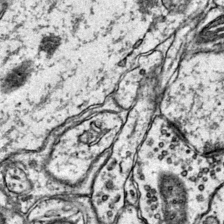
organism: Mouse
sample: Primary visual cortex